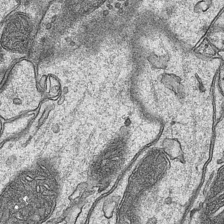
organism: Mouse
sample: CA1 Hippocampus